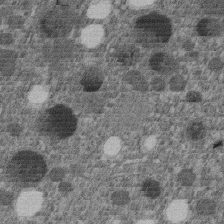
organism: C. elegans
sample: C. elegans embryo early stage